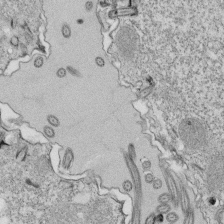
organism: Tetrahymena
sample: Cilia in tetrahymena